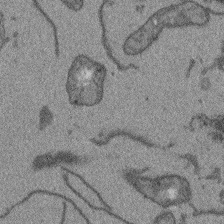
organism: Arabidopsis thaliana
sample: Root tip